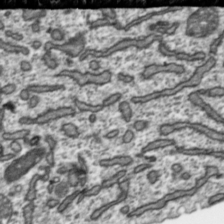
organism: Toxoplasma gondii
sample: Parasites in a vacuole inside a host cell